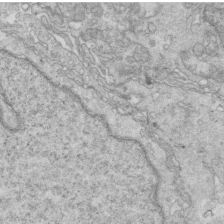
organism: Mouse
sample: Multiciliated cells